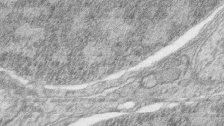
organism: Zebrafish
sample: synaptic ribbons in rod cells and cone cells